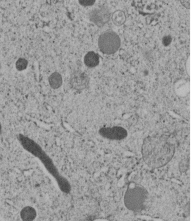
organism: C. elegans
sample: C. elegans embryo early stage